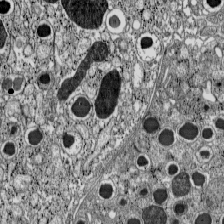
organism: C57BL Mouse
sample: Pancreatic islet